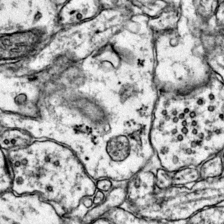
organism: Mouse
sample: Primary visual cortex